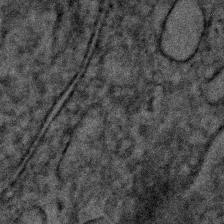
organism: Human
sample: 1205lu cells